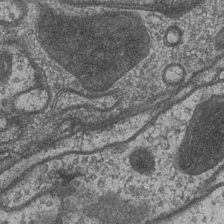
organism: Drosophila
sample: Optic medulla